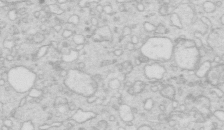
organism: Mouse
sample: Multiciliated cells